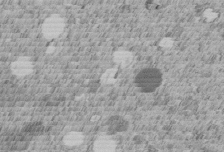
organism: C. elegans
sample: C. elegans embryo early stage